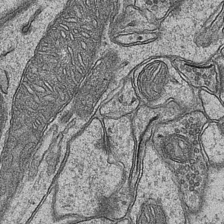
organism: Mouse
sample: CA1 Hippocampus